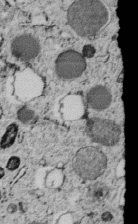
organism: C. elegans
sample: C. elegans embryo early stage